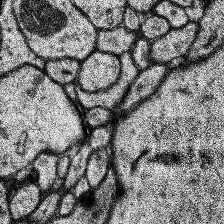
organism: Human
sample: Temporal Lobe